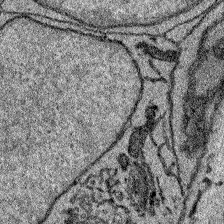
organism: Zebrafish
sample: Larval olfactory bulb